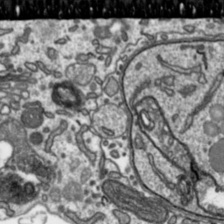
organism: Toxoplasma gondii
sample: Parasites in a vacuole inside a host cell